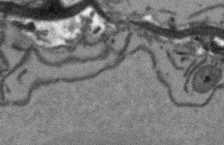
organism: Arabidopsis thaliana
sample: Root tip